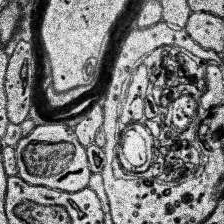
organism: Human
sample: Temporal Lobe